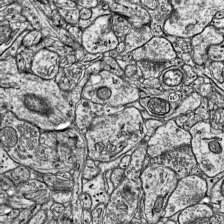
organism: Mouse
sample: Visual Cortex